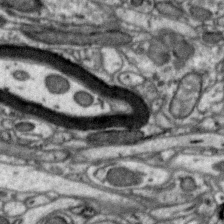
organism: Zebra finch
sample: Brain